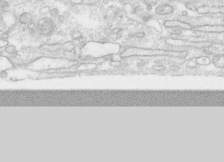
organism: Human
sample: CRL-1474